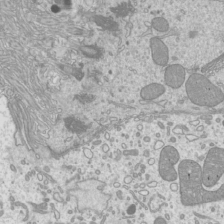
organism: Mouse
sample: Cilia; mouse epididymis